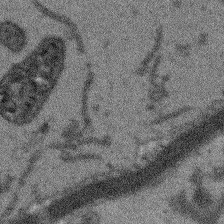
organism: Arabidopsis thaliana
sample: Root tip